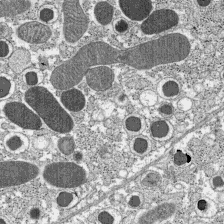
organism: C57BL Mouse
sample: Pancreatic islet